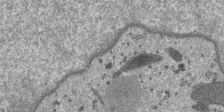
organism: Human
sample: Lung epithelial cells infected with SARS-CoV-2